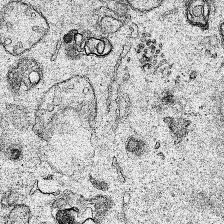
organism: Human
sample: Mitochondria in HCT116 cells